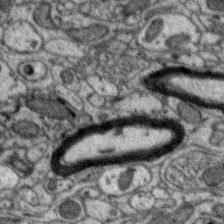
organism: Zebra finch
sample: Brain